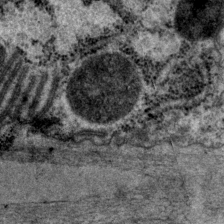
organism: P. pacificus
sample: Pharynx